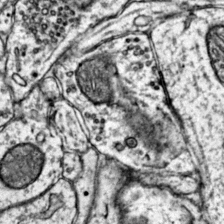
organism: Mouse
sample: Primary visual cortex